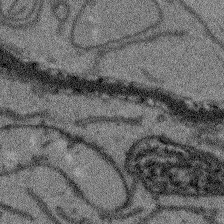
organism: Arabidopsis thaliana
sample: Root tip